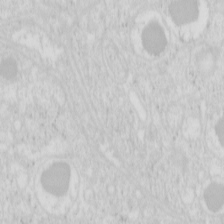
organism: Mouse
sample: Pancreas